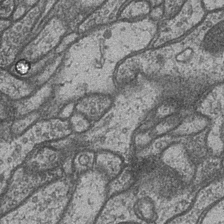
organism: Drosophila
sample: Optic medulla